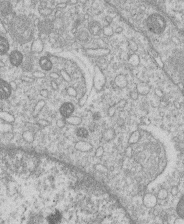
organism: Human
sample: Macrophage cells